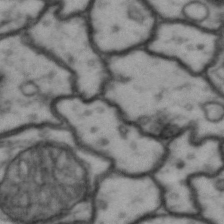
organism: Drosophila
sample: Brain